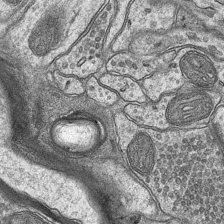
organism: Mouse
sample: CA1 Hippocampus